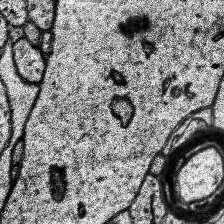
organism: Human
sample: Temporal Lobe